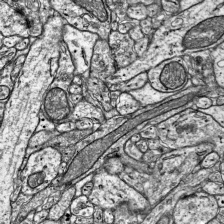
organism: Mouse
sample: Visual Cortex